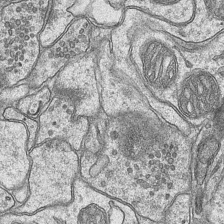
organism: Mouse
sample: CA1 Hippocampus